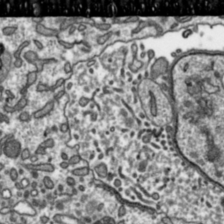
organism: Toxoplasma gondii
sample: Parasites in a vacuole inside a host cell